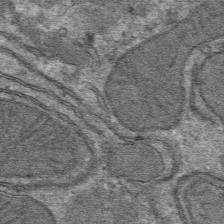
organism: Mouse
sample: Mouse hepatocytes